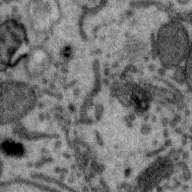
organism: Zebra finch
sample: Brain